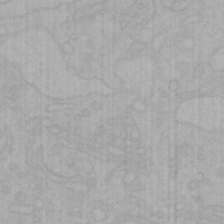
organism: Mouse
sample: Choroid plexus